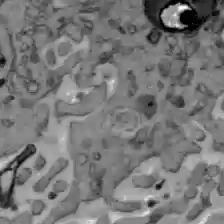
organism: C57BL Mouse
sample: Liver